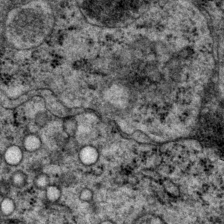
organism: P. pacificus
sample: Pharynx